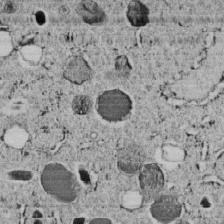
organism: C. elegans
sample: C. elegans embryo early stage